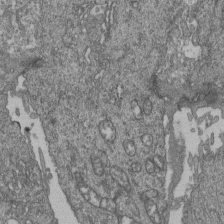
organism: Human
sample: Retinal organoid Rod and Cone cells